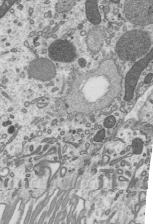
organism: Mouse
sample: Mouse epididymis efferent ductule cilia